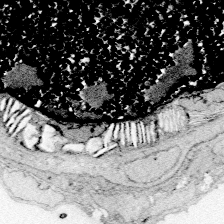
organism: Zebrafish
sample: Whole-Brain